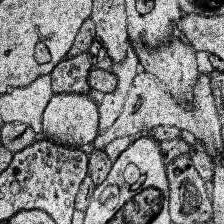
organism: Human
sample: Temporal Lobe